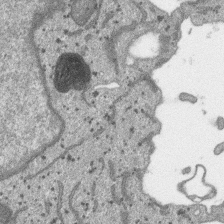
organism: Human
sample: Lung epithelial cells infected with SARS-CoV-2